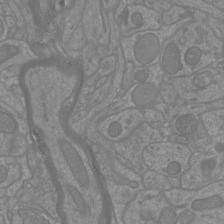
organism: Mouse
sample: Cortical neurons